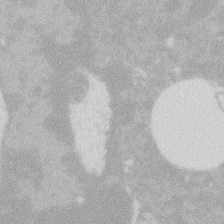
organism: Zebrafish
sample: Macrophage